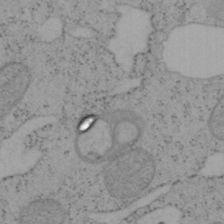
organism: Mouse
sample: OT-I killer T cells with ID8 ovarian cancer cells